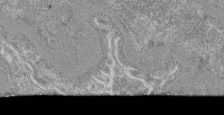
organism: Mouse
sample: Glomerulus